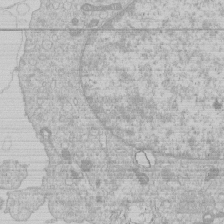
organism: Human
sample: Macrophage cells